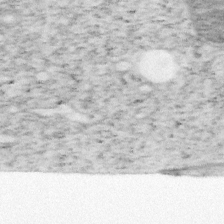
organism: Mouse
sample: OT-I killer T cells with ID8 ovarian cancer cells